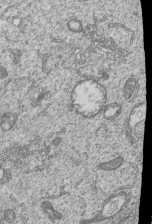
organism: Human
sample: MDA-MB-231 cells